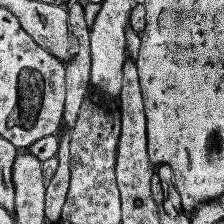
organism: Human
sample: Temporal Lobe